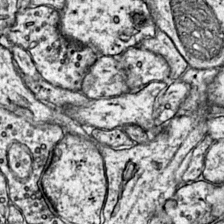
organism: Mouse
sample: Primary visual cortex